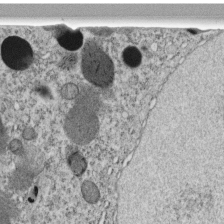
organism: C. elegans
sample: C. elegans embryo early stage